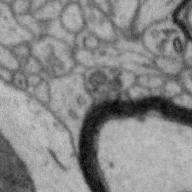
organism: Zebra finch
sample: Brain